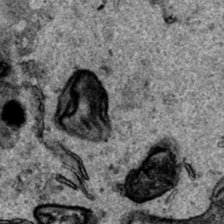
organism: Human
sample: Mitochondria in HCT116 cells